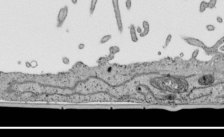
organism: Human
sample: Mitochondria in HCT116 cells